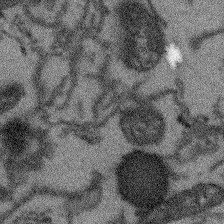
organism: Arabidopsis thaliana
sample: Root tip